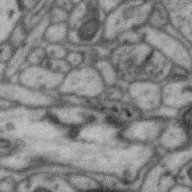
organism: Zebra finch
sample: Brain